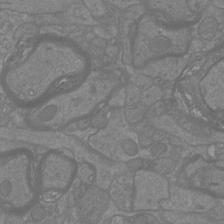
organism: Mouse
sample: Cortical neurons